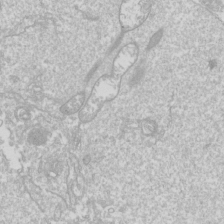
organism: Drosophila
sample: Cell division; meiosis; drosophila spermatocytes